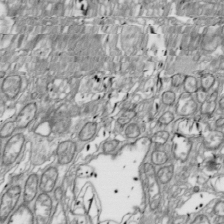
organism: Drosophila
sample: Cell division; meiosis; drosophila spermatocytes